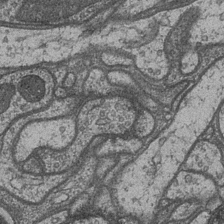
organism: Drosophila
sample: Optic medulla